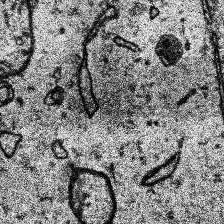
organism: Human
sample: Temporal Lobe